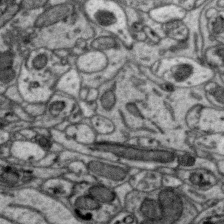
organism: Zebra finch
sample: Brain